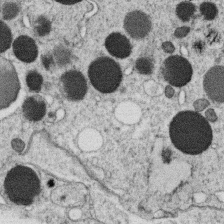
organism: C. elegans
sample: C. elegans oocyte; sperm cells